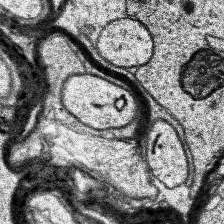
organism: Human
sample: Temporal Lobe